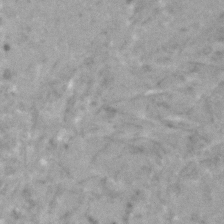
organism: Human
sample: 1205lu cells